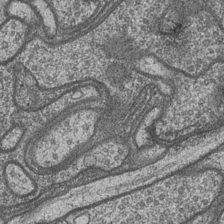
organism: Drosophila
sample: Optic medulla